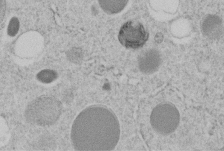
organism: C. elegans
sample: C. elegans embryo early stage